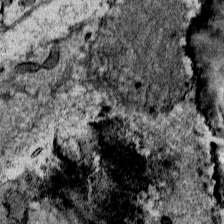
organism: Mouse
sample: Mouse Salivary gland